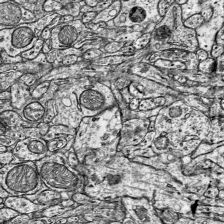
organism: Mouse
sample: Visual Cortex